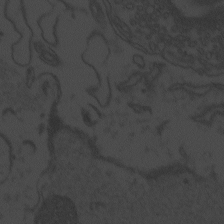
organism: Zebrafish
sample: Macrophage infected with Toxoplasma gondii